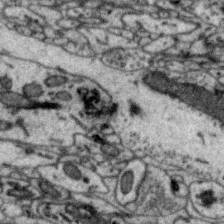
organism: Zebra finch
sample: Brain